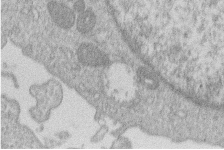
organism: Human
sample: Macrophage cells